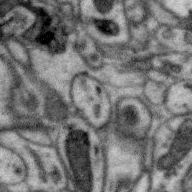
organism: Zebra finch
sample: Brain